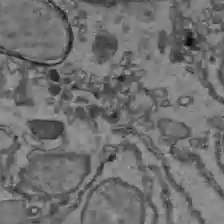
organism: C57BL Mouse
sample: Liver